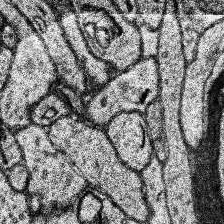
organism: Human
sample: Temporal Lobe